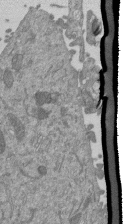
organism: Mouse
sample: ED-1 cell nuclei; centrioles